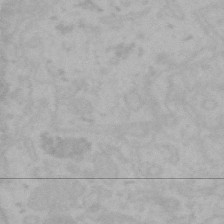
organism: Mouse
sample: Choroid plexus